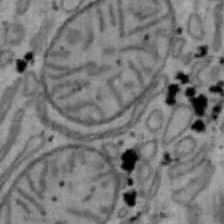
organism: Mouse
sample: Liver